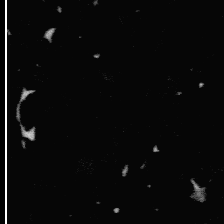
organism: Platynereis dumerilii